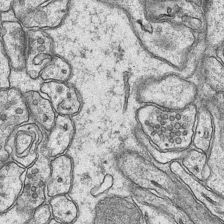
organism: Mouse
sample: CA1 Hippocampus